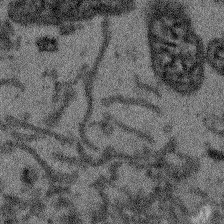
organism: Arabidopsis thaliana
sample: Root tip